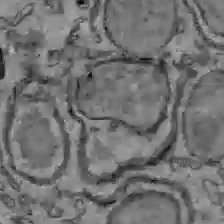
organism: C57BL Mouse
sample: Liver